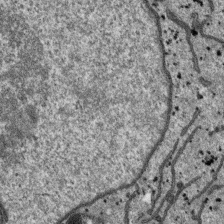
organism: Human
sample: Lung epithelial cells, uninfected (mock) control